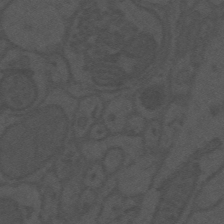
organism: Mouse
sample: Suprachiasmatic nucleus